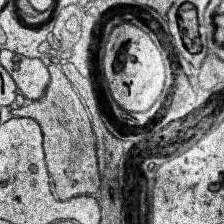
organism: Human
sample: Temporal Lobe